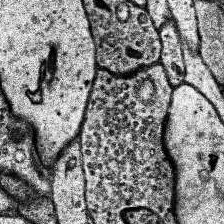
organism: Human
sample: Temporal Lobe